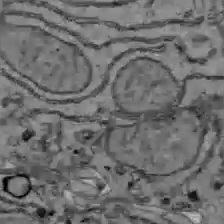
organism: C57BL Mouse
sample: Liver